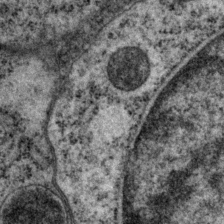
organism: P. pacificus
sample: Pharynx